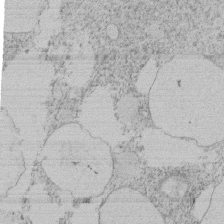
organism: Tetrahymena